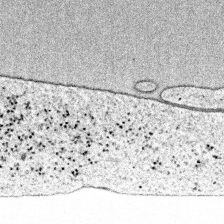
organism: Human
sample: HeLa cells